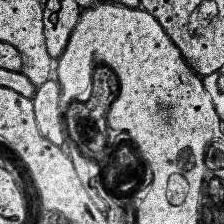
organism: Human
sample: Temporal Lobe